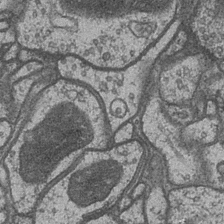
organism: Drosophila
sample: Optic medulla